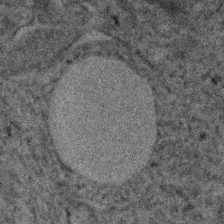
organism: Human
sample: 1205lu cells